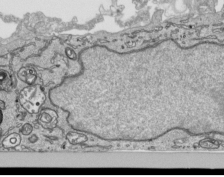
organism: Human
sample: Mitochondria in HCT116 cells